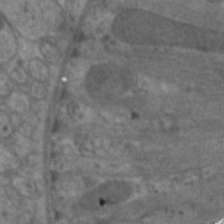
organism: C. elegans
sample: Pharynx